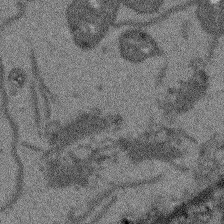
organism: Arabidopsis thaliana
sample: Root tip